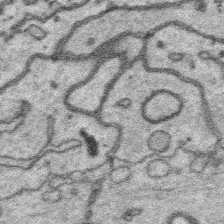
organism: Platynereis dumerilii